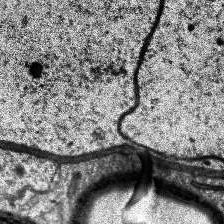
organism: Human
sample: Temporal Lobe